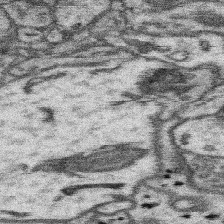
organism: Mouse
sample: Somatosensory cortex neuropil